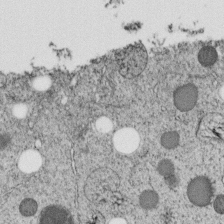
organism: C. elegans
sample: C. elegans embryo early stage